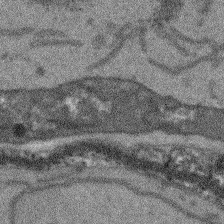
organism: Arabidopsis thaliana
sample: Root tip